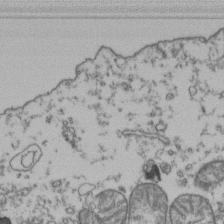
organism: Human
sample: Activated Jurkat CD4+ T cells